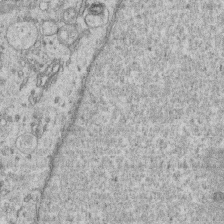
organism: Human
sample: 1205lu cells